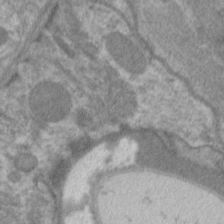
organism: C. elegans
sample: Pharynx